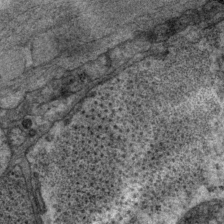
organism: P. pacificus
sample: Pharynx